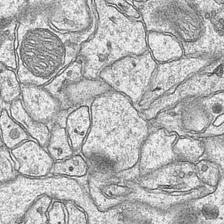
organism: Mouse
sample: CA1 Hippocampus